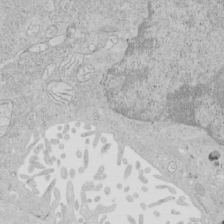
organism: Human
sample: Mitochondria in HCT116 cells